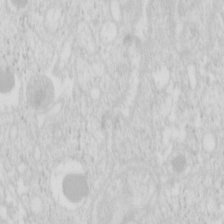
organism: Mouse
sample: Pancreas